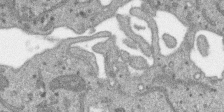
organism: Human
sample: Lung epithelial cells infected with SARS-CoV-2